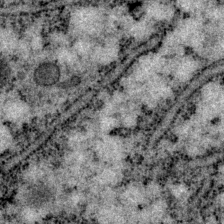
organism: P. pacificus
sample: Pharynx